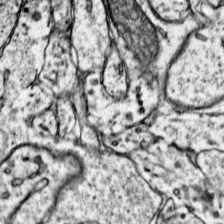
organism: Mouse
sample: Primary visual cortex